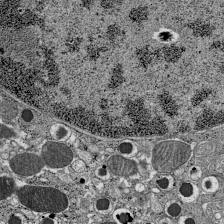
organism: C57BL Mouse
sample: Pancreatic islet